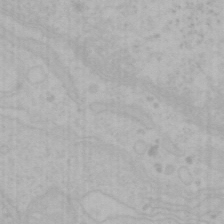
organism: Mouse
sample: Choroid plexus